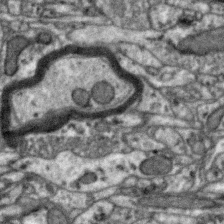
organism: Zebra finch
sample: Brain